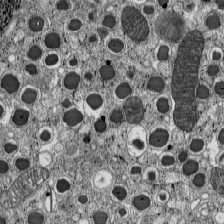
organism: C57BL Mouse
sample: Pancreatic islet